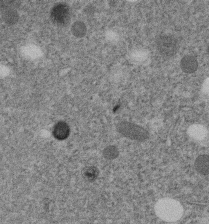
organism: C. elegans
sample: C. elegans embryo early stage